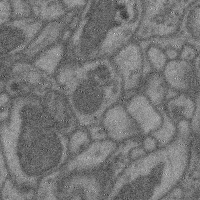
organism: Mouse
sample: Cerebral cortex